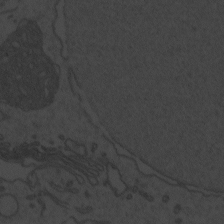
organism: Zebrafish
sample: Macrophage infected with Toxoplasma gondii